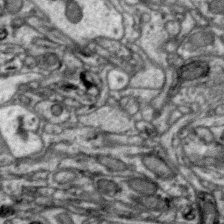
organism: Zebra finch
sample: Brain